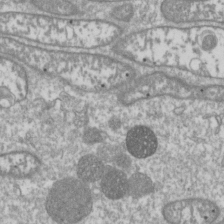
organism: Drosophila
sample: Cell division; meiosis; drosophila spermatocytes